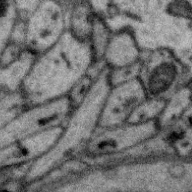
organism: Zebra finch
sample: Brain